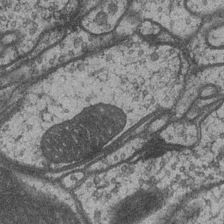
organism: Drosophila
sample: Optic medulla